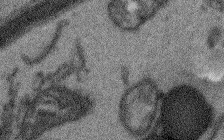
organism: Arabidopsis thaliana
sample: Root tip